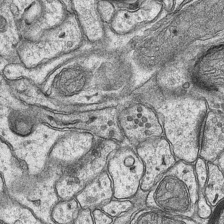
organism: Mouse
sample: CA1 Hippocampus